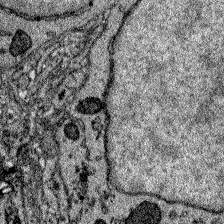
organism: Zebrafish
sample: Larval olfactory bulb